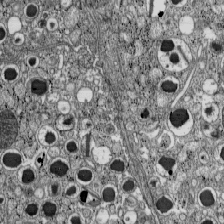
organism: C57BL Mouse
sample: Pancreatic islet